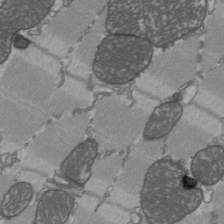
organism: C57BL Mouse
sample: Heart